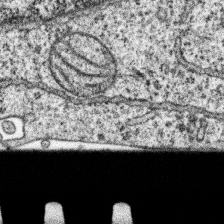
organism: Human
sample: HeLa cells